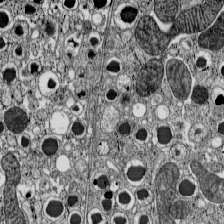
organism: C57BL Mouse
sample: Pancreatic islet